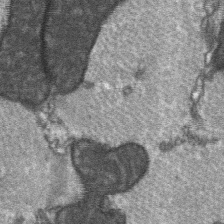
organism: C57BL Mouse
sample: Soleus